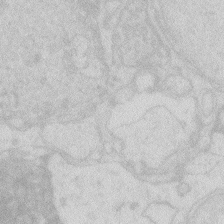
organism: Zebrafish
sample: Macrophage